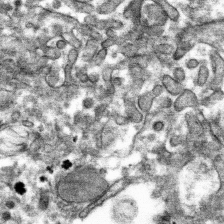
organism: Mouse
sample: Mouse hepatocytes